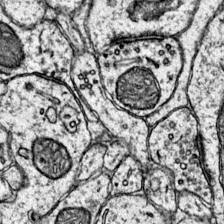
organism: Mouse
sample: Primary visual cortex